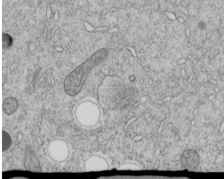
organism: C. elegans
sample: C. elegans embryo early stage